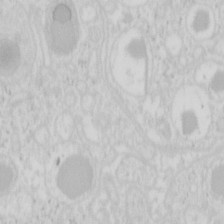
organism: Mouse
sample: Pancreas